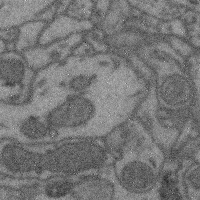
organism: Mouse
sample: Cerebral cortex